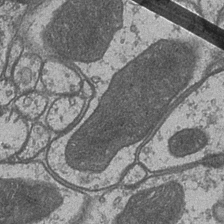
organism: Drosophila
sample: Optic medulla